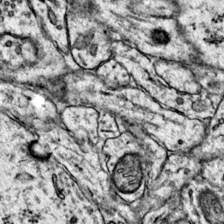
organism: Mouse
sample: Primary visual cortex